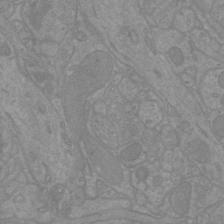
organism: Mouse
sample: Cortical neurons